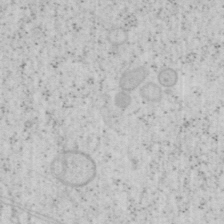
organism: Human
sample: HeLa cells